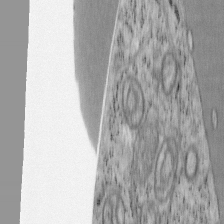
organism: Human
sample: HeLa cells